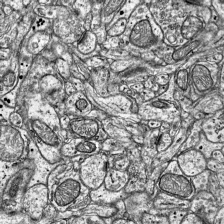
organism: Mouse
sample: Visual Cortex